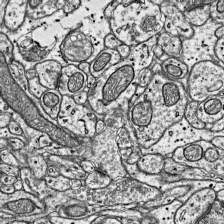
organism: Mouse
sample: Visual Cortex